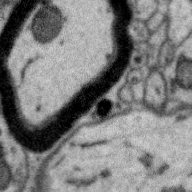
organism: Zebra finch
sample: Brain